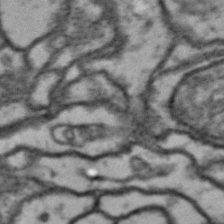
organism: Drosophila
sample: Brain